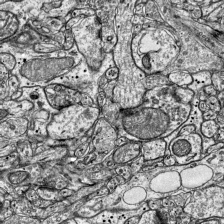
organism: Mouse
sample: Visual Cortex